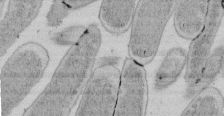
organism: E. coli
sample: Bacterial nucleoid